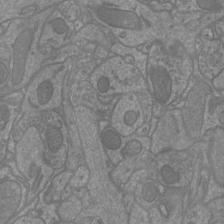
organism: Mouse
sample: Cortical neurons